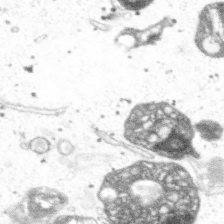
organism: Human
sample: HeLa cells